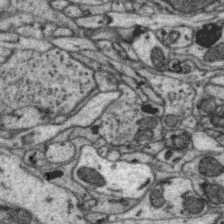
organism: Zebra finch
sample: Brain